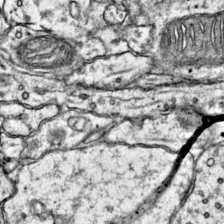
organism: Mouse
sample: Primary visual cortex